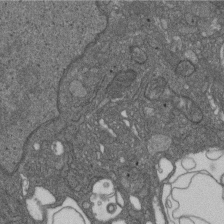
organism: Drosophila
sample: Nephrocyte